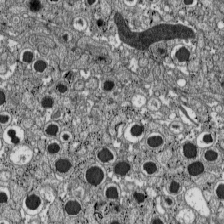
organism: C57BL Mouse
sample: Pancreatic islet